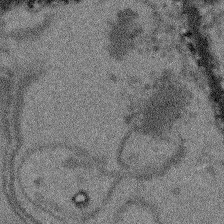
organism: Arabidopsis thaliana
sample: Root tip